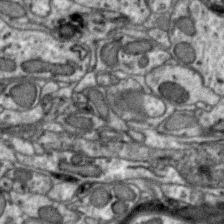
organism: Zebra finch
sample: Brain